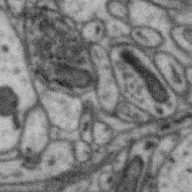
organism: Zebra finch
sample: Brain